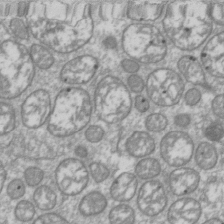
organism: Drosophila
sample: Cell division; meiosis; drosophila spermatocytes